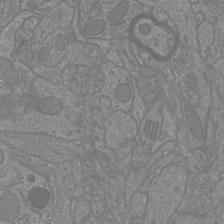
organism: Mouse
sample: Cortical neurons